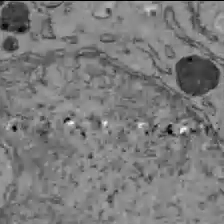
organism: C57BL Mouse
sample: Liver